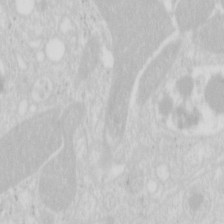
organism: Mouse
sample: Pancreas